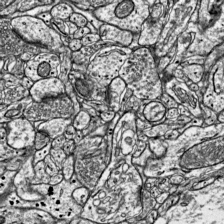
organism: Mouse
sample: Visual Cortex